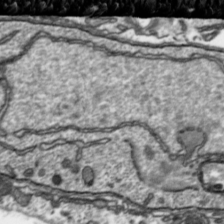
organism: Toxoplasma gondii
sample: Parasites in a vacuole inside a host cell